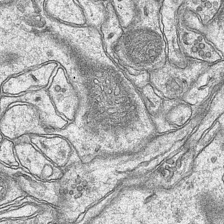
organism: Mouse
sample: CA1 Hippocampus